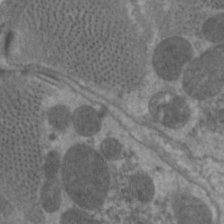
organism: C. elegans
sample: Pharynx